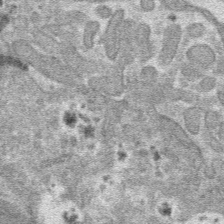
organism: Mouse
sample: Mouse hepatocytes